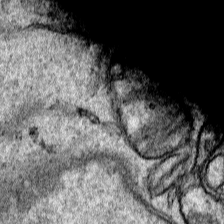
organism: Human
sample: Mitochondria in HCT116 cells